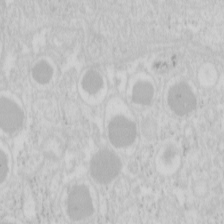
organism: Mouse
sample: Pancreas